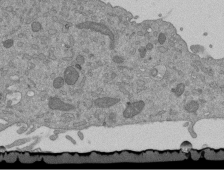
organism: Mouse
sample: ED-1 cell nuclei; centrioles